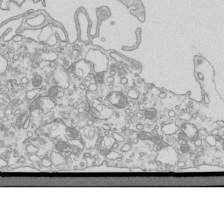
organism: Mouse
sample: Macrophages